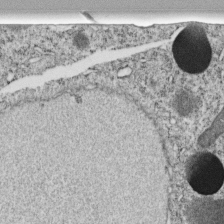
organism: C. elegans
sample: C. elegans embryo early stage